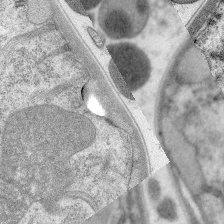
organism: C. elegans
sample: Pharynx